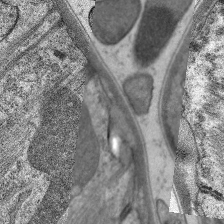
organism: C. elegans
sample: Pharynx